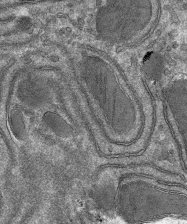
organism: Mouse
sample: Mouse hepatocytes